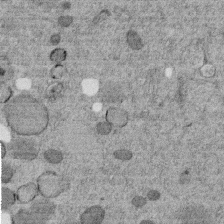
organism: C. elegans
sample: C. elegans embryo early stage